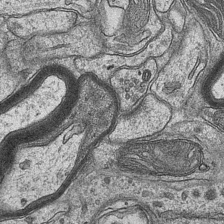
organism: Mouse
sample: CA1 Hippocampus